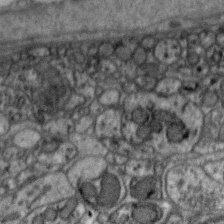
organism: Zebra finch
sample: Brain